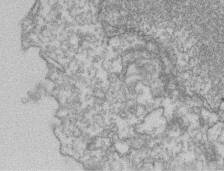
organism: Mouse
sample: T cell stromal cell synapse